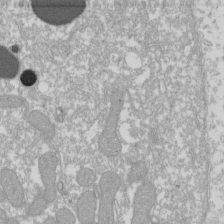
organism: Xenopus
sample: Cilia; centrioles in frog embryo cells